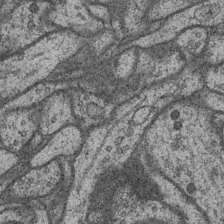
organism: Drosophila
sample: Optic medulla